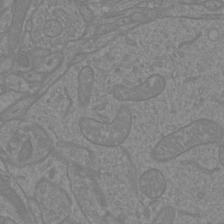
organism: Mouse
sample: Cortical neurons